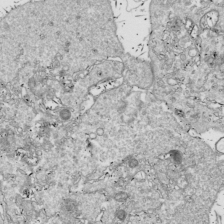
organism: Drosophila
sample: Cell division; meiosis; drosophila spermatocytes